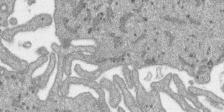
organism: Human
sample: Lung epithelial cells infected with SARS-CoV-2